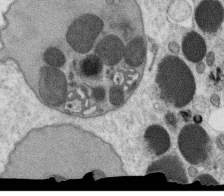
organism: C. elegans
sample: C. elegans oocyte; sperm cells